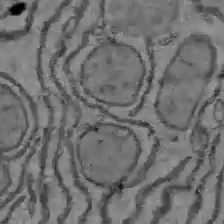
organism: C57BL Mouse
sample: Liver